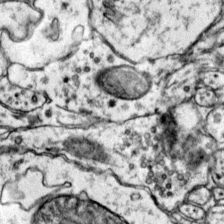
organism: Mouse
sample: Primary visual cortex